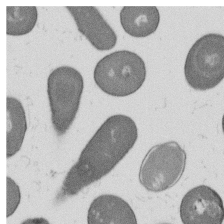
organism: B. subtilis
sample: Bacterial spore